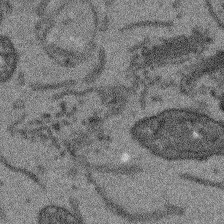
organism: Arabidopsis thaliana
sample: Root tip